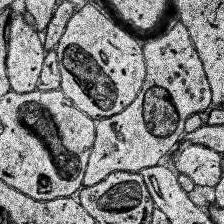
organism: Human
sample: Temporal Lobe